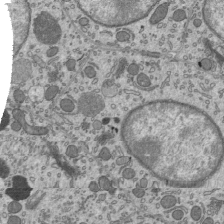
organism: Mouse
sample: Mouse epididymis efferent ductule cilia